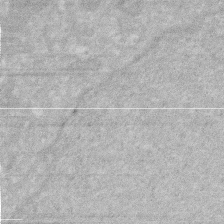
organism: Human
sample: HIV infected U937 cells